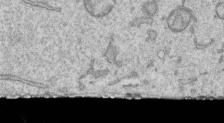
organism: Human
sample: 1205lu cells